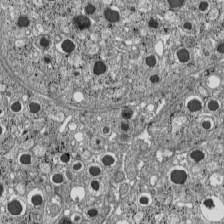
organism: C57BL Mouse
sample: Pancreatic islet